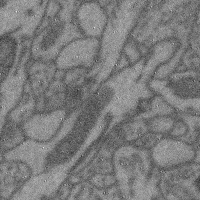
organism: Mouse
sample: Cerebral cortex